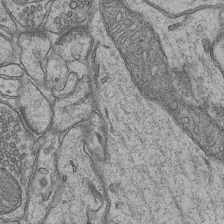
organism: Mouse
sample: CA1 Hippocampus